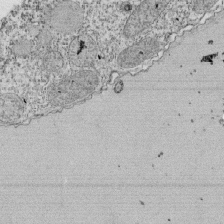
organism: Tetrahymena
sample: Cilia in tetrahymena